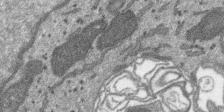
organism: Human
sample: Lung epithelial cells infected with SARS-CoV-2